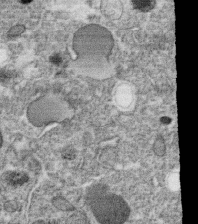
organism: C. elegans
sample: C. elegans oocyte; sperm cells